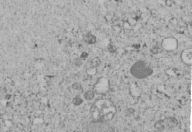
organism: C. elegans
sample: C. elegans embryo early stage